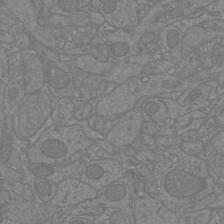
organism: Mouse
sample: Cortical neurons